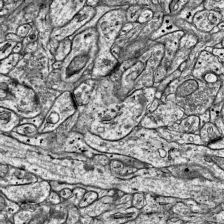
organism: Mouse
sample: Visual Cortex